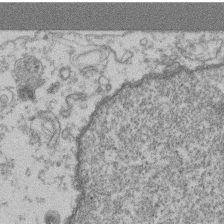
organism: Mouse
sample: T cell stromal cell synapse